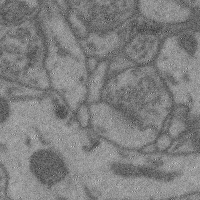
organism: Mouse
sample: Cerebral cortex